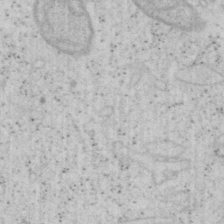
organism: Human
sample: HeLa cells